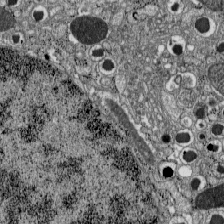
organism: C57BL Mouse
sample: Pancreatic islet